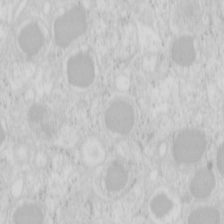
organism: Mouse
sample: Pancreas